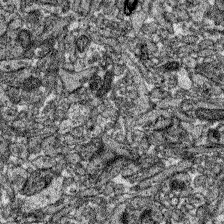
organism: Zebrafish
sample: Larval olfactory bulb